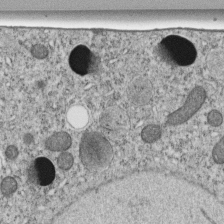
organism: C. elegans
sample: C. elegans embryo early stage